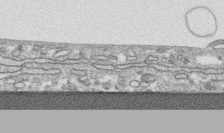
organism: Human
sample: CRL-1474